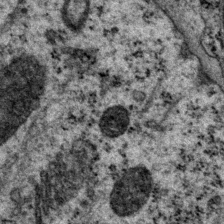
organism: P. pacificus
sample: Pharynx